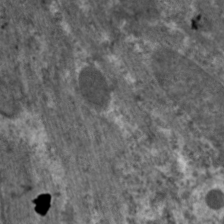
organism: C. elegans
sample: Pharynx